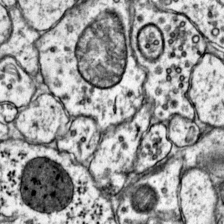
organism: Mouse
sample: Primary visual cortex